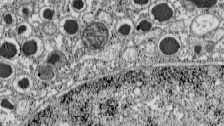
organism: C57BL Mouse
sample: Pancreatic islet